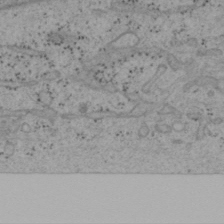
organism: Human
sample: HeLa cells